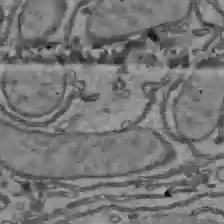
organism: C57BL Mouse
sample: Liver